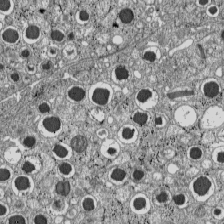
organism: C57BL Mouse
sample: Pancreatic islet